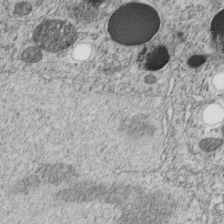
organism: C. elegans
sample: C. elegans embryo early stage